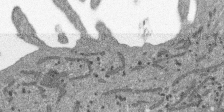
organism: Human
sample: Lung epithelial cells infected with SARS-CoV-2